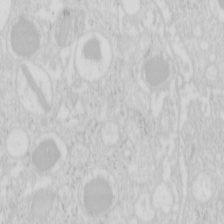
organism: Mouse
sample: Pancreas